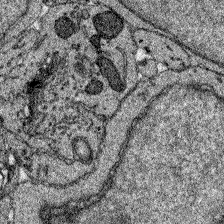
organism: Zebrafish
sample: Larval olfactory bulb